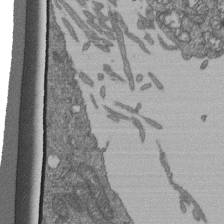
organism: Human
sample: Retinal organoid Rod and Cone cells